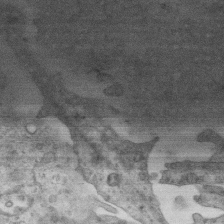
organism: Mouse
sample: Centriole in ependymal cells